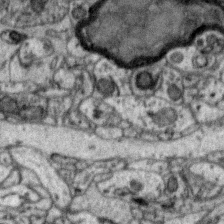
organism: Zebra finch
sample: Brain